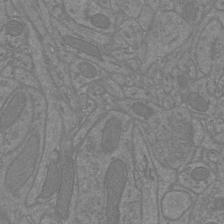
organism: Mouse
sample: Cortical neurons